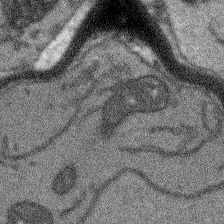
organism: Arabidopsis thaliana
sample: Root tip